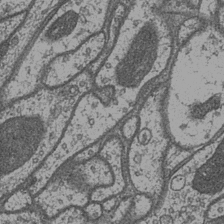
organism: Drosophila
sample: Optic medulla